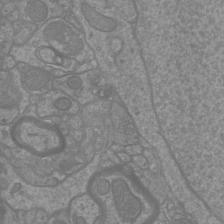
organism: Mouse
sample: Cortical neurons